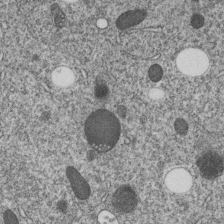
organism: C. elegans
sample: C. elegans embryo early stage